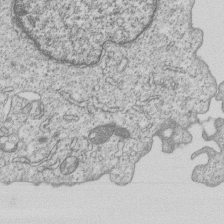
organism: Human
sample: MDA-MB-231 cells